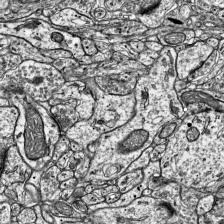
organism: Mouse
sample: Visual Cortex